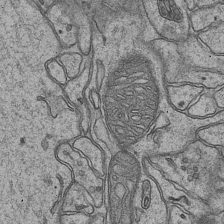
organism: Mouse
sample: CA1 Hippocampus